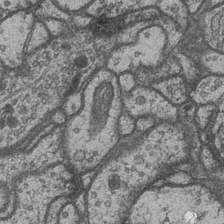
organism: Drosophila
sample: Optic medulla